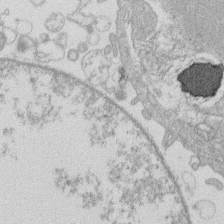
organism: Human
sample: Macrophage cells